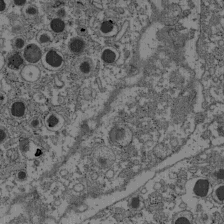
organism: C57BL Mouse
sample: Pancreatic islet